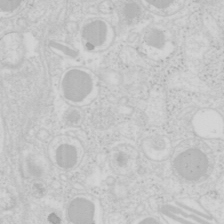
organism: Mouse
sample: Pancreas